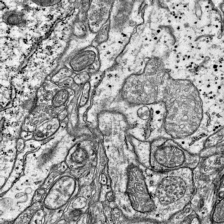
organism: Mouse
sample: Visual Cortex